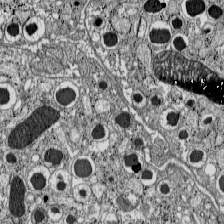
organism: C57BL Mouse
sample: Pancreatic islet